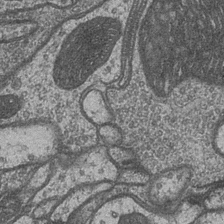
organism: Drosophila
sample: Optic medulla